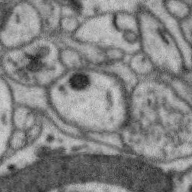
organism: Zebra finch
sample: Brain